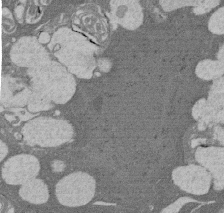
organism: Rat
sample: Salivary granule